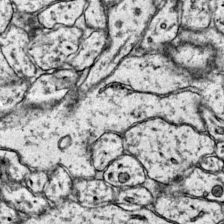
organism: Mouse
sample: Primary visual cortex